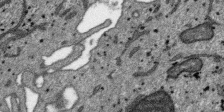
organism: Human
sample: Lung epithelial cells, uninfected (mock) control